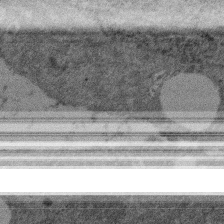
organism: Mouse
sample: Dividing mouse embryo 1 cell stage